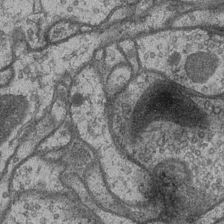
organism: Drosophila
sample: Optic medulla